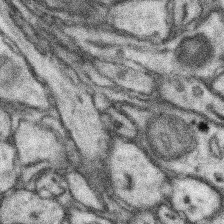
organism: Mouse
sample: Somatosensory cortex neuropil